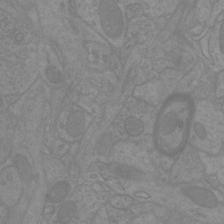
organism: Mouse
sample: Cortical neurons